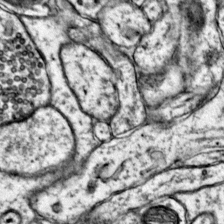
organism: Mouse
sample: Primary visual cortex